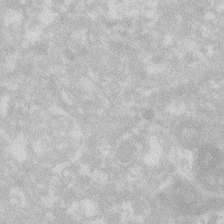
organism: Zebrafish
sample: Macrophage